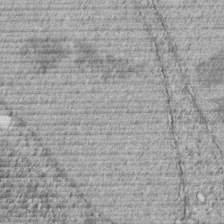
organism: C. elegans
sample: C. elegans embryo early stage